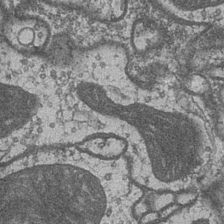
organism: Drosophila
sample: Optic medulla